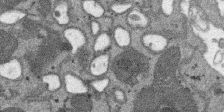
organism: Human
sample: Lung epithelial cells infected with SARS-CoV-2